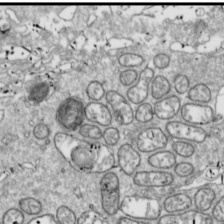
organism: Drosophila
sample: Cell division; meiosis; drosophila spermatocytes